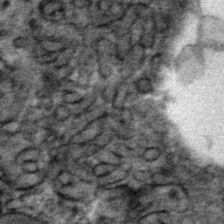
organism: Mouse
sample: Mouse hepatocytes